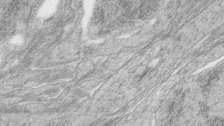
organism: Zebrafish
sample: synaptic ribbons in rod cells and cone cells